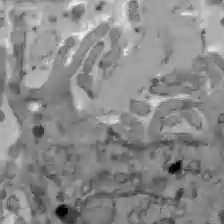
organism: C57BL Mouse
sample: Liver